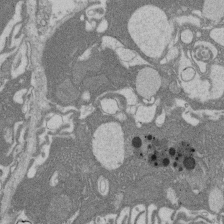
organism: Rat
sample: Salivary granule